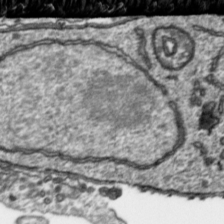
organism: Toxoplasma gondii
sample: Parasites in a vacuole inside a host cell